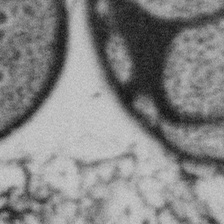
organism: Gemmata obscuriglobus